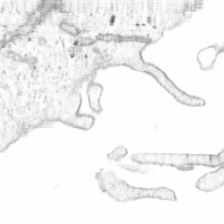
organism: Human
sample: HeLa cells